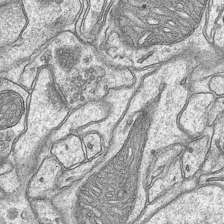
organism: Mouse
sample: CA1 Hippocampus